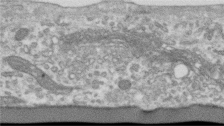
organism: Human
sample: Centriole in RPE cells